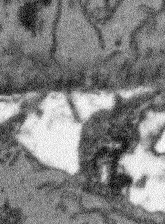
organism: Arabidopsis thaliana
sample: Root tip